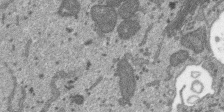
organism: Human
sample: Lung epithelial cells infected with SARS-CoV-2